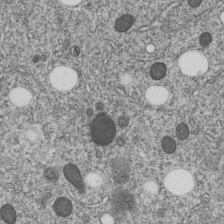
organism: C. elegans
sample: C. elegans embryo early stage